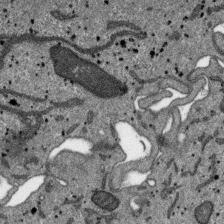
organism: Human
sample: Lung epithelial cells, uninfected (mock) control